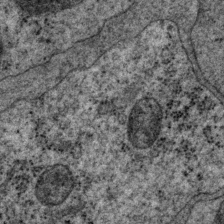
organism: P. pacificus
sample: Pharynx